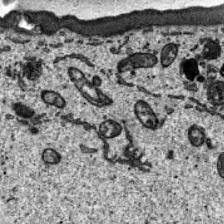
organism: Human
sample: HeLa cells